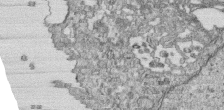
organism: Human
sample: HeLa cell HIV synapse